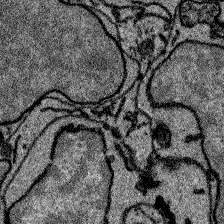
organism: Zebrafish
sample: Larval olfactory bulb